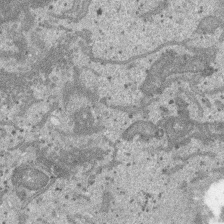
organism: Human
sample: Lung epithelial cells infected with SARS-CoV-2